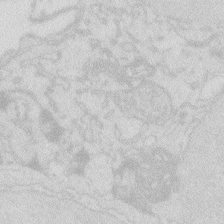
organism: Zebrafish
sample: Macrophage